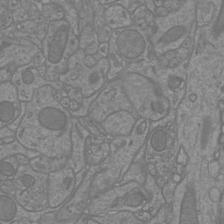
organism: Mouse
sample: Cortical neurons